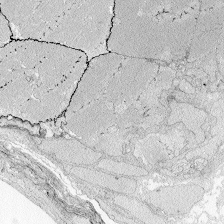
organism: Zebrafish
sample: Whole-Brain